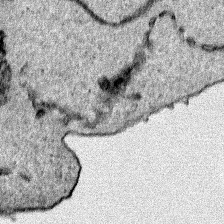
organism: Human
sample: Mitochondria in HCT116 cells